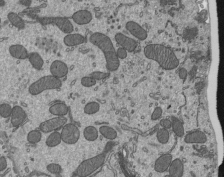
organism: Mouse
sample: Mouse epididymis efferent ductule cilia